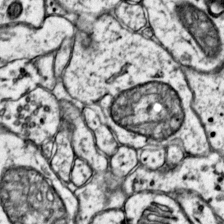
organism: Mouse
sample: Primary visual cortex